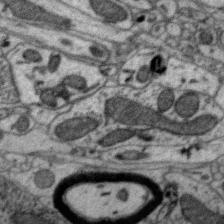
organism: Zebra finch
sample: Brain